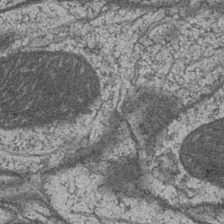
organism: Drosophila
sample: Optic medulla